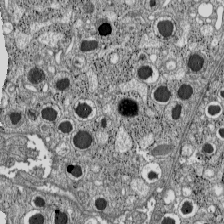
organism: C57BL Mouse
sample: Pancreatic islet